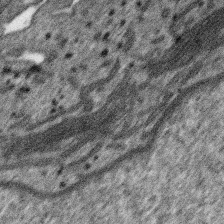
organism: Human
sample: Lung epithelial cells infected with SARS-CoV-2